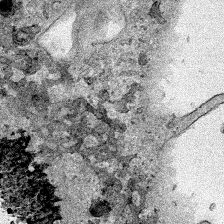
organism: Human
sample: Mitochondria in HCT116 cells